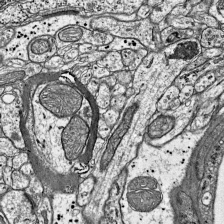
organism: Mouse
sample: Visual Cortex